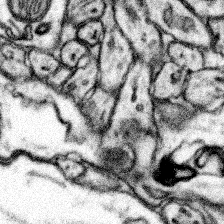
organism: Mouse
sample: Somatosensory cortex neuropil